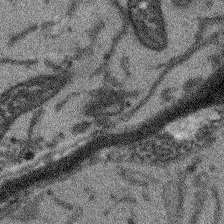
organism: Arabidopsis thaliana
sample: Root tip